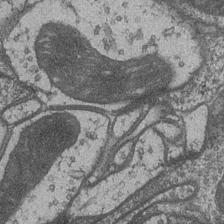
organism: Drosophila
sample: Optic medulla